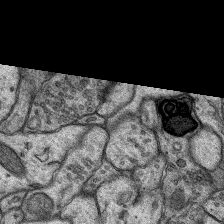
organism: Rat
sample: Hippocampus